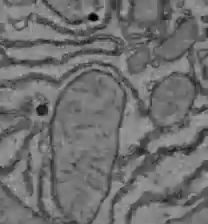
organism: C57BL Mouse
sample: Liver